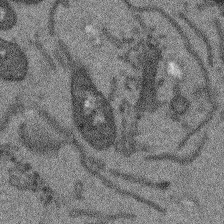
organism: Arabidopsis thaliana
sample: Root tip